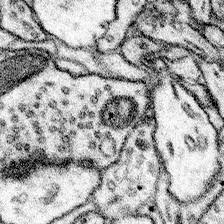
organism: Mouse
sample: Somatosensory cortex neuropil